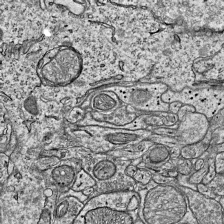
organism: Mouse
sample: Visual Cortex